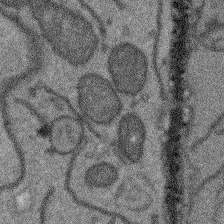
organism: Arabidopsis thaliana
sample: Root tip